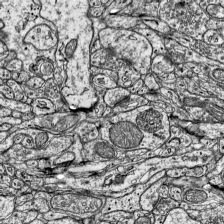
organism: Mouse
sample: Visual Cortex